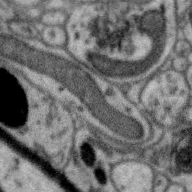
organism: Zebra finch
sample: Brain